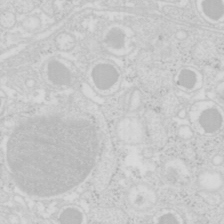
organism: Mouse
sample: Pancreas